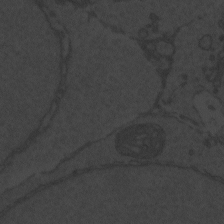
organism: Zebrafish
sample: Macrophage infected with Toxoplasma gondii